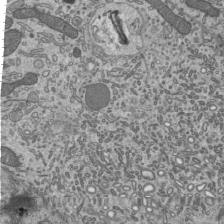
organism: Mouse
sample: Mouse epididymis efferent ductule cilia